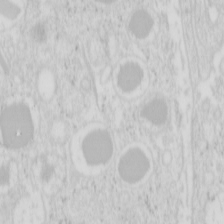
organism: Mouse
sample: Pancreas